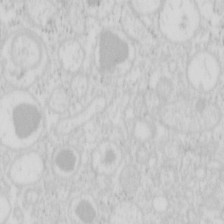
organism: Mouse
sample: Pancreas